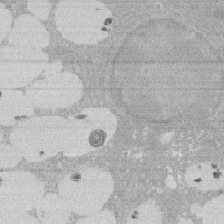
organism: Rat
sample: Salivary granule